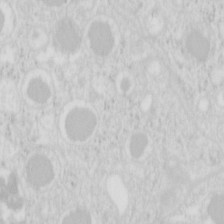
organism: Mouse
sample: Pancreas